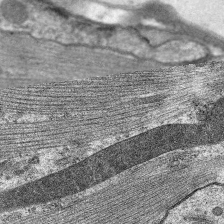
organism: C. elegans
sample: Pharynx